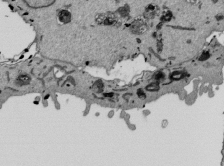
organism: Mouse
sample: ED-1 cell nuclei; centrioles